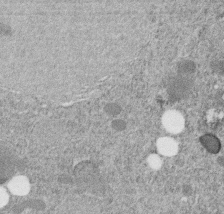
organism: C. elegans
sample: C. elegans embryo early stage